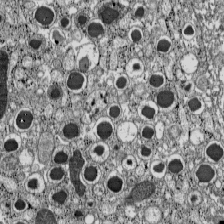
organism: C57BL Mouse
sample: Pancreatic islet